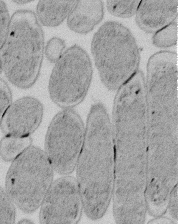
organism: E. coli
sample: Bacterial nucleoid